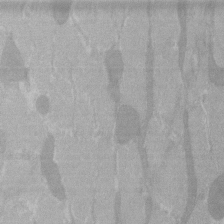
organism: C57BL Mouse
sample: Tibialis anterior muscle cell